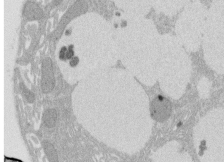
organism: Rat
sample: Salivary granule